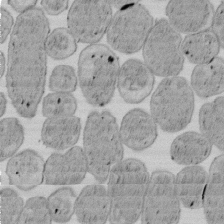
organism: E. coli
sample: Bacterial nucleoid